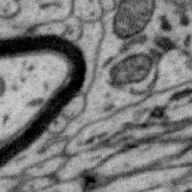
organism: Zebra finch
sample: Brain